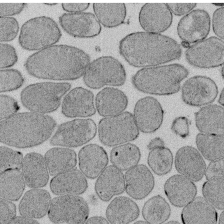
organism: E. coli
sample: Bacterial nucleoid